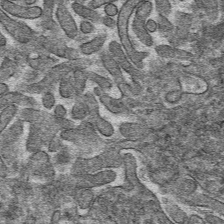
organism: Mouse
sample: Mouse hepatocytes